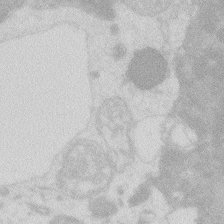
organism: Zebrafish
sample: Macrophage